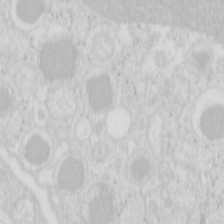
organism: Mouse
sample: Pancreas